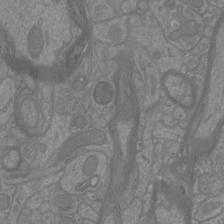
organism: Mouse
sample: Cortical neurons